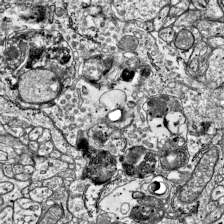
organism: Mouse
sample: Visual Cortex